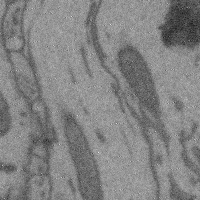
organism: Mouse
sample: Cerebral cortex